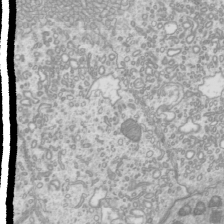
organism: Mouse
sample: Cilia; mouse epididymis